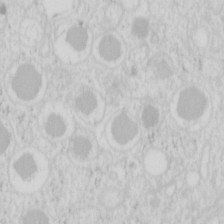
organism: Mouse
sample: Pancreas